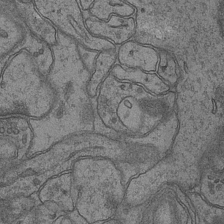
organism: Mouse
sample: CA1 Hippocampus